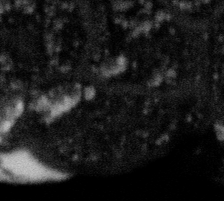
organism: Gemmata obscuriglobus